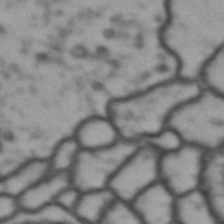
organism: Drosophila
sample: Brain